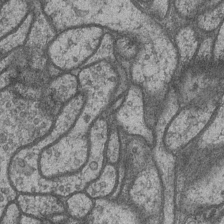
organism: Drosophila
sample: Optic medulla